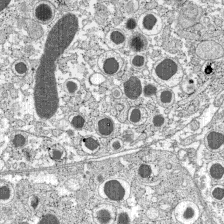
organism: C57BL Mouse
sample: Pancreatic islet